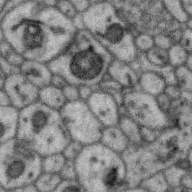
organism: Zebra finch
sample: Brain